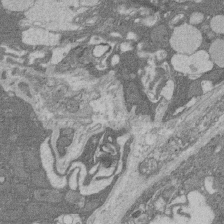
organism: Rat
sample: Salivary granule